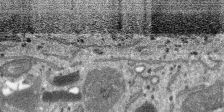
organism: Human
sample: Lung epithelial cells infected with SARS-CoV-2